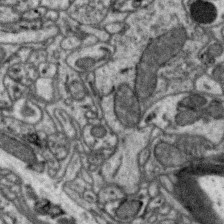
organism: Zebra finch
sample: Brain